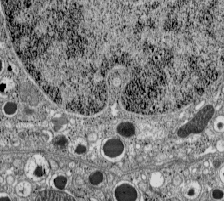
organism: C57BL Mouse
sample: Pancreatic islet